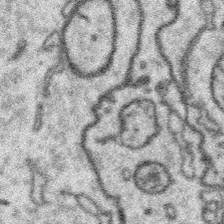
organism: Platynereis dumerilii